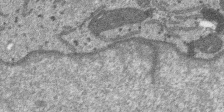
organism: Human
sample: Lung epithelial cells infected with SARS-CoV-2